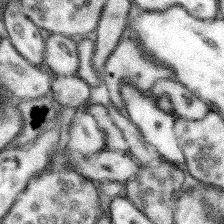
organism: Mouse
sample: Somatosensory cortex neuropil